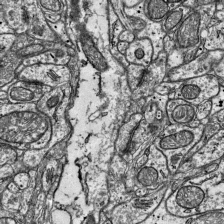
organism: Mouse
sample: Visual Cortex